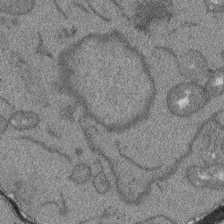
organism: Arabidopsis thaliana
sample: Root tip